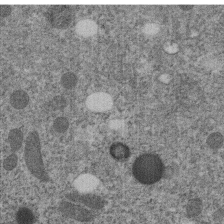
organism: C. elegans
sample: C. elegans embryo early stage